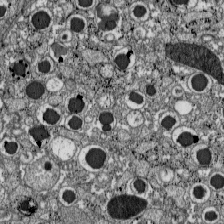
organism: C57BL Mouse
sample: Pancreatic islet